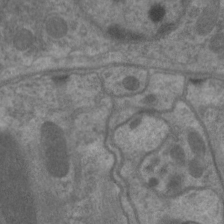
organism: C. elegans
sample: Pharynx